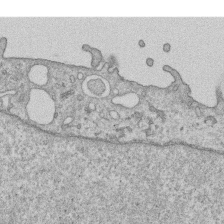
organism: Human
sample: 1205lu cells